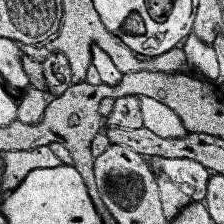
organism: Human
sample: Temporal Lobe